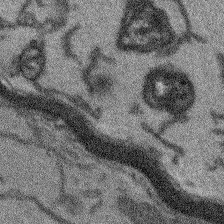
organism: Arabidopsis thaliana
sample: Root tip